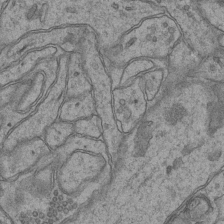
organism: Mouse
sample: CA1 Hippocampus